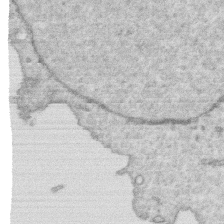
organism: Human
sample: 1205lu cells